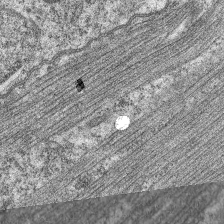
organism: C. elegans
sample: Pharynx